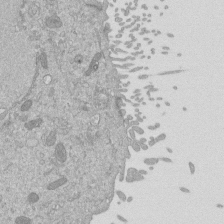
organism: Mouse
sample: ED-1 cell nuclei; centrioles